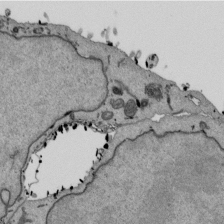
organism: Mouse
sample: ED-1 cell nuclei; centrioles